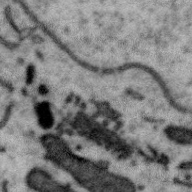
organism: Zebra finch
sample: Brain